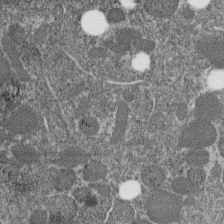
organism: C. elegans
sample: C. elegans embryo early stage